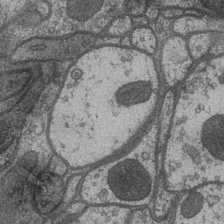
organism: Drosophila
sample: Optic medulla